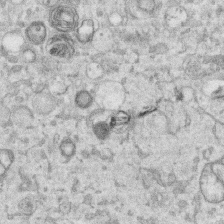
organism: Human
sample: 1205lu cells